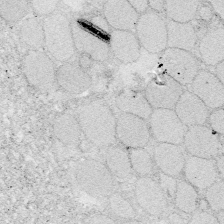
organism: Zebrafish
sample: Whole-Brain